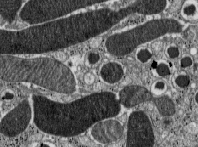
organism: C57BL Mouse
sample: Pancreatic islet